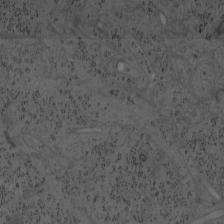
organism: Mouse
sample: OT-I killer T cells with ID8 ovarian cancer cells